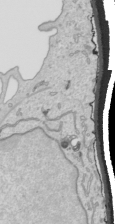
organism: Human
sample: Mitochondria in HCT116 cells